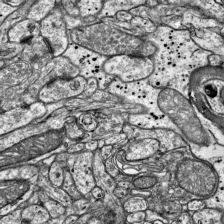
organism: Mouse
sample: Visual Cortex